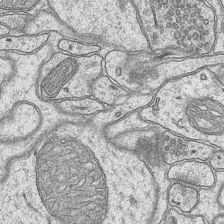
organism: Mouse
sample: CA1 Hippocampus